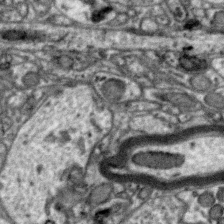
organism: Zebra finch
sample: Brain